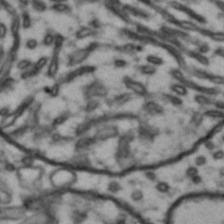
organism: Drosophila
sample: Brain